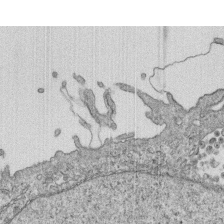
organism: Human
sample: HeLa cell HIV synapse